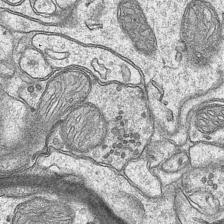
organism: Mouse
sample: CA1 Hippocampus